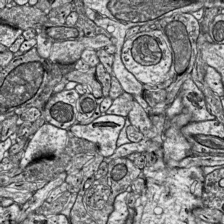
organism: Mouse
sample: Visual Cortex